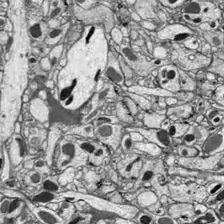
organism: Drosophila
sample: Optic lobe